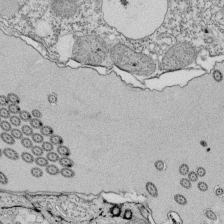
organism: Tetrahymena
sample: Cilia in tetrahymena